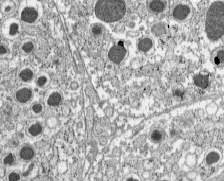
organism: C57BL Mouse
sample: Pancreatic islet